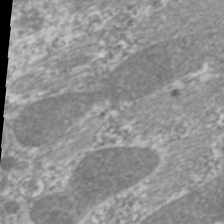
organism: C. elegans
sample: Pharynx